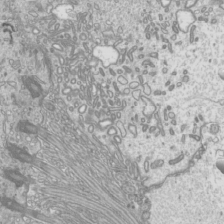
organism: Mouse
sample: Cilia; mouse epididymis